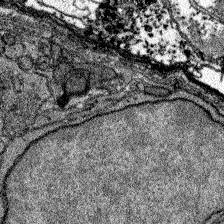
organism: Zebrafish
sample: Larval olfactory bulb